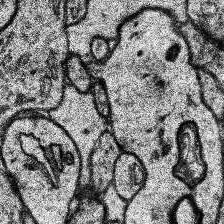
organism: Human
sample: Temporal Lobe